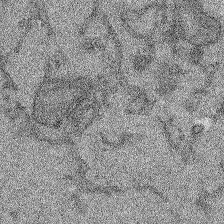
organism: Human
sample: HeLa cells